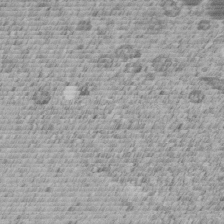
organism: C. elegans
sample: C. elegans embryo early stage